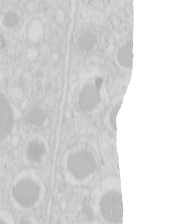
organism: Mouse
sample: Pancreas